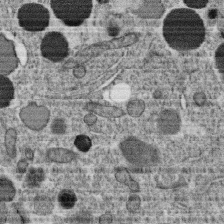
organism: C. elegans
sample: C. elegans oocyte; sperm cells